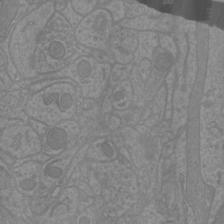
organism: Mouse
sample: Cortical neurons